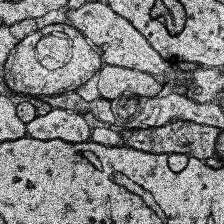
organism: Human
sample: Temporal Lobe